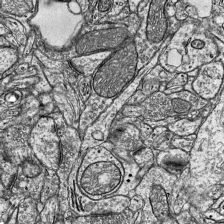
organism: Mouse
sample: Visual Cortex